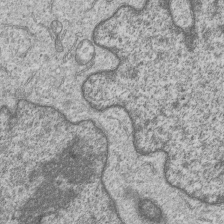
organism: Human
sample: MDA-MB-231 cells